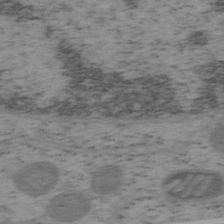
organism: Mouse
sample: OT-I killer T cells with ID8 ovarian cancer cells